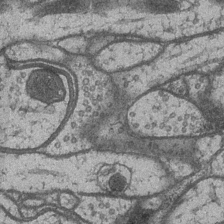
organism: Drosophila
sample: Optic medulla